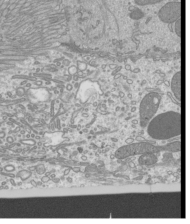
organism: Mouse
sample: Cilia; mouse epididymis